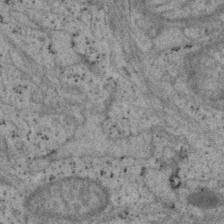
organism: Human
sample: HeLa cells